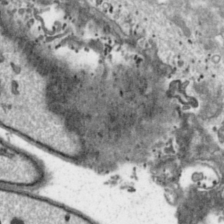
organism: Toxoplasma gondii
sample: Parasites in a vacuole inside a host cell